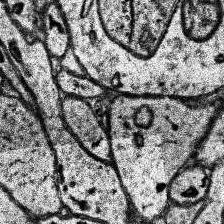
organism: Human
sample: Temporal Lobe